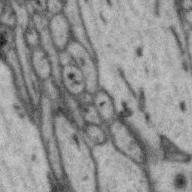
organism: Zebra finch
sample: Brain